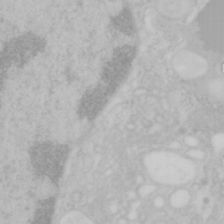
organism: Mouse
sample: OT-I killer T cells with ID8 ovarian cancer cells